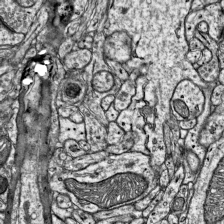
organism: Mouse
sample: Visual Cortex